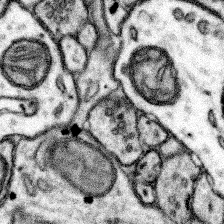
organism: Mouse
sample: Somatosensory cortex neuropil